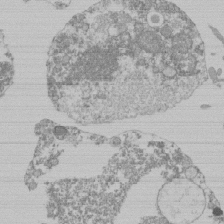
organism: Mouse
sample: Activated Pmel transgenic CD8+ T Cells